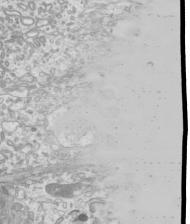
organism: Mouse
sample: Cilia; mouse epididymis